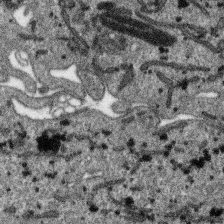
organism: Human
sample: Lung epithelial cells infected with SARS-CoV-2